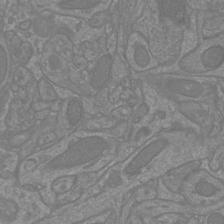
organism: Mouse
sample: Cortical neurons